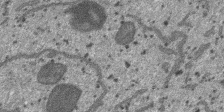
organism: Human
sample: Lung epithelial cells infected with SARS-CoV-2